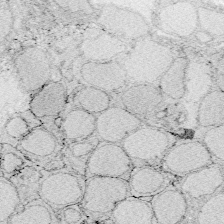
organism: Zebrafish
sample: Whole-Brain